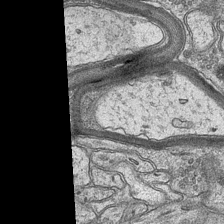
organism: Mouse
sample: CA1 Hippocampus